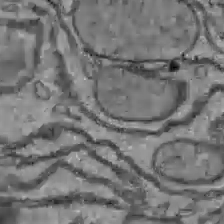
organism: C57BL Mouse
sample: Liver